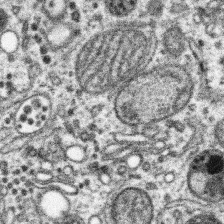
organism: Human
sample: HeLa cells